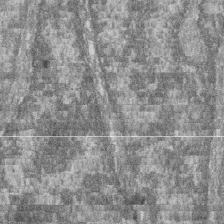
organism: Zebrafish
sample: Cilia; retinal pigment epithelium